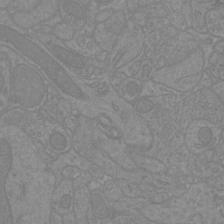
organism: Mouse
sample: Cortical neurons